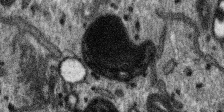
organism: Human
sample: Lung epithelial cells infected with SARS-CoV-2